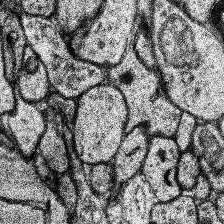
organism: Human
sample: Temporal Lobe